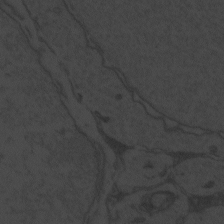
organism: Zebrafish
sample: Macrophage infected with Toxoplasma gondii